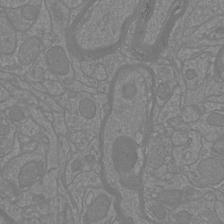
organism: Mouse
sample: Cortical neurons